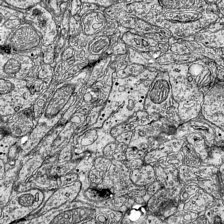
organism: Mouse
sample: Visual Cortex